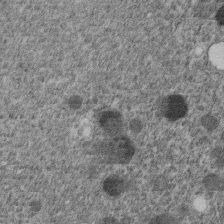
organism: C. elegans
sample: C. elegans embryo early stage